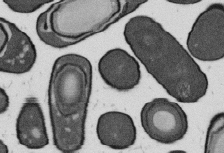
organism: B. subtilis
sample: Bacterial spore